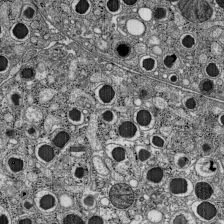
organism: C57BL Mouse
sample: Pancreatic islet